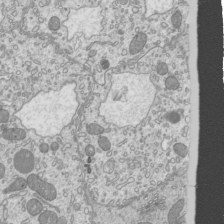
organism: Mouse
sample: Cilia; mouse epididymis